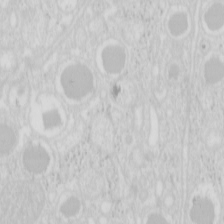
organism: Mouse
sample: Pancreas